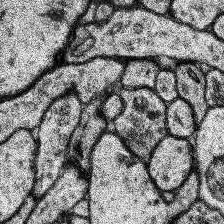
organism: Human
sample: Temporal Lobe